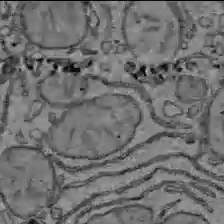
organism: C57BL Mouse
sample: Liver